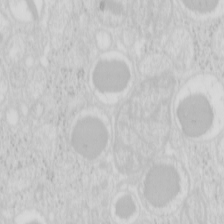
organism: Mouse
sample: Pancreas